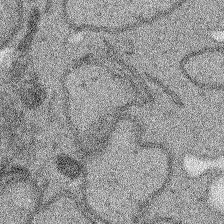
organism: Human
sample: HeLa cells